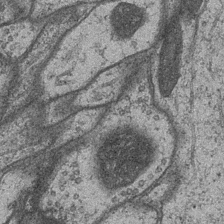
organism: Drosophila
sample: Optic medulla